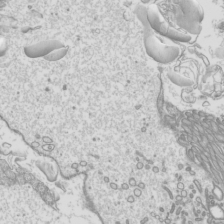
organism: Mouse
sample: Cilia; mouse epididymis